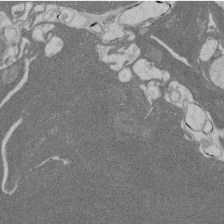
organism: Rat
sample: Salivary granule